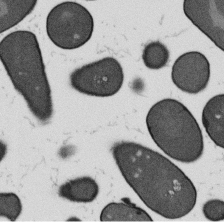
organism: B. subtilis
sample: Bacterial spore